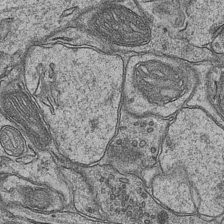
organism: Mouse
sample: CA1 Hippocampus